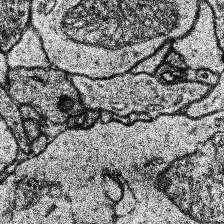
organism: Human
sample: Temporal Lobe